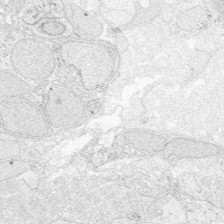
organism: Zebrafish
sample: Whole-Brain